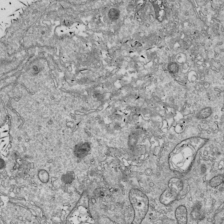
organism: Drosophila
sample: Cell division; meiosis; drosophila spermatocytes